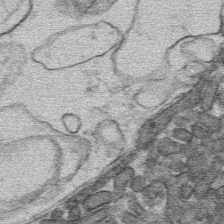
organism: Mouse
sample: Mouse hepatocytes